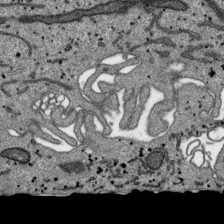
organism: Human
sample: Lung epithelial cells, uninfected (mock) control